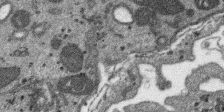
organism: Human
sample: Lung epithelial cells infected with SARS-CoV-2